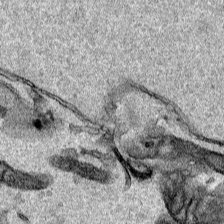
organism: Human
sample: Mitochondria in HCT116 cells